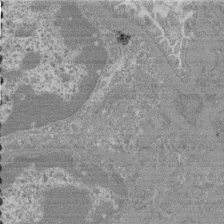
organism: Mouse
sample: Glomerulus